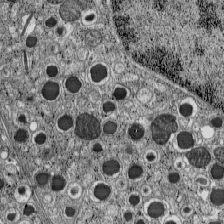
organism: C57BL Mouse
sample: Pancreatic islet